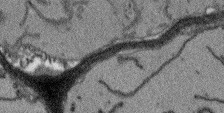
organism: Arabidopsis thaliana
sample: Root tip